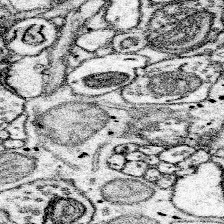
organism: Mouse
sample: Somatosensory cortex neuropil